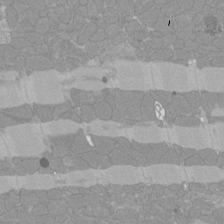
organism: Rat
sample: Left ventricle